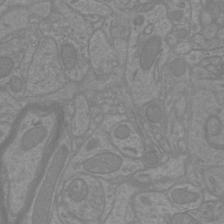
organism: Mouse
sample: Cortical neurons